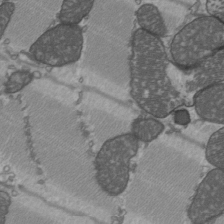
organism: C57BL Mouse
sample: Heart